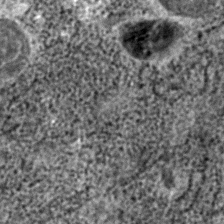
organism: C. elegans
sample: C. elegans embryo